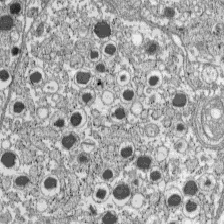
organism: C57BL Mouse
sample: Pancreatic islet